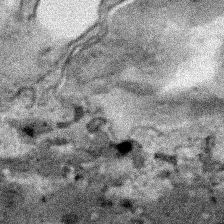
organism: Human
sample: Mitochondria in HCT116 cells